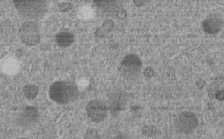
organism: C. elegans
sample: C. elegans embryo early stage